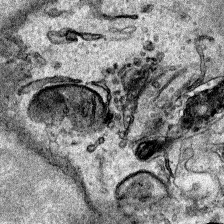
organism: Human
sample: Mitochondria in HCT116 cells